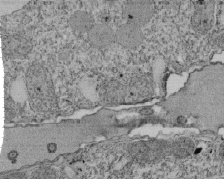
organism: Tetrahymena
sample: Cilia in tetrahymena